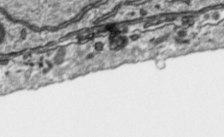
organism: Toxoplasma gondii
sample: Parasites in a vacuole inside a host cell